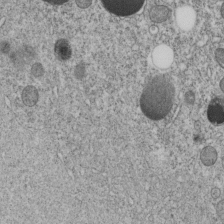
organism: C. elegans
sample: C. elegans embryo early stage